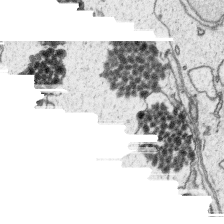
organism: Platynereis dumerilii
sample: Parapodia